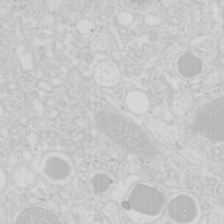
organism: Mouse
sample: Pancreas